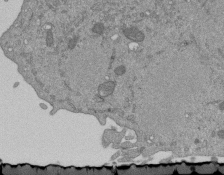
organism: Mouse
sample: ED-1 cell nuclei; centrioles